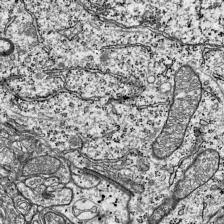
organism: Mouse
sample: Visual Cortex